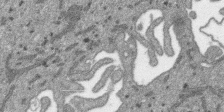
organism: Human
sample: Lung epithelial cells infected with SARS-CoV-2